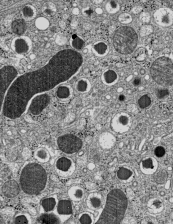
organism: C57BL Mouse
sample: Pancreatic islet